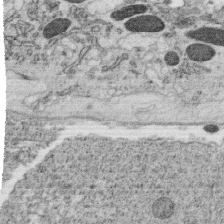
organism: C. elegans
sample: C. elegans oocyte; sperm cells